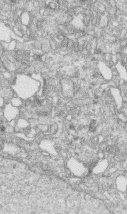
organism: Human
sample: HeLa cell HIV synapse